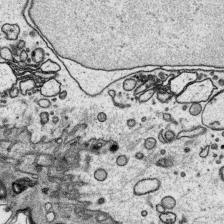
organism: Platynereis dumerilii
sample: Parapodia